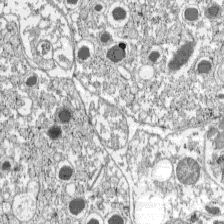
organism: C57BL Mouse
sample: Pancreatic islet